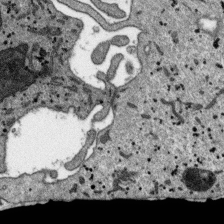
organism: Human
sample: Lung epithelial cells, uninfected (mock) control